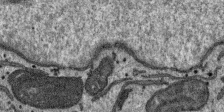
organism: Human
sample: Lung epithelial cells, uninfected (mock) control